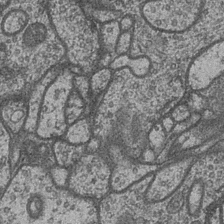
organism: Drosophila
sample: Optic medulla